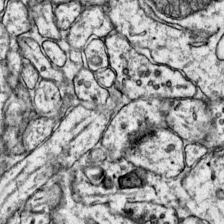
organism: Mouse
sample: Primary visual cortex